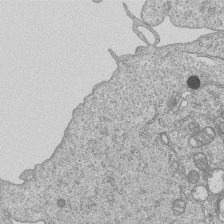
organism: Human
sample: MDA-MB-231 cells